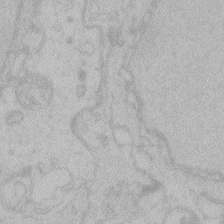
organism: Zebrafish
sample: Macrophage infected with Toxoplasma gondii